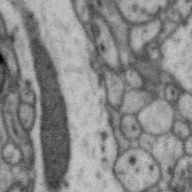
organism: Zebra finch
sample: Brain